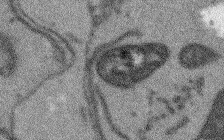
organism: Arabidopsis thaliana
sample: Root tip